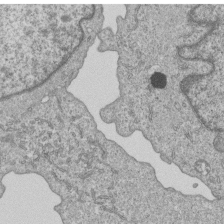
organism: Human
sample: MDA-MB-231 cells